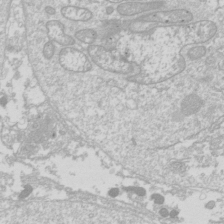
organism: Drosophila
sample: Cell division; meiosis; drosophila spermatocytes